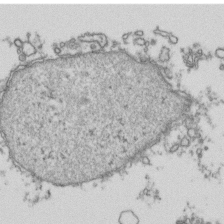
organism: Human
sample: Activated Jurkat CD4+ T cells